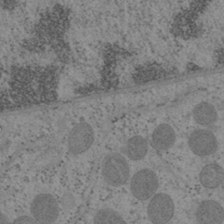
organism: Mouse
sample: OT-I killer T cells with ID8 ovarian cancer cells